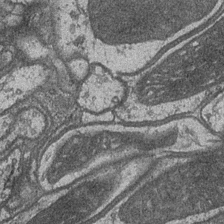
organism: Drosophila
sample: Optic medulla